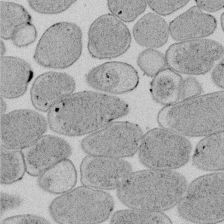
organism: E. coli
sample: Bacterial nucleoid